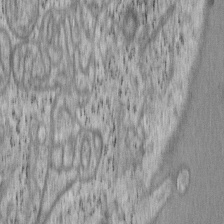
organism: Human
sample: HeLa cells